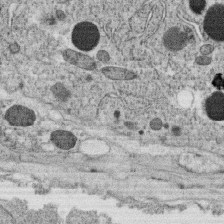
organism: C. elegans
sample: C. elegans oocyte; sperm cells